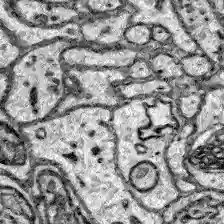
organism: Zebrafish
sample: Brain